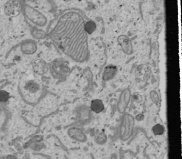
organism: Human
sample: Mitochondria in U2OS cells